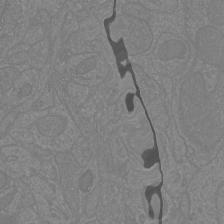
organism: Mouse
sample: Cortical neurons